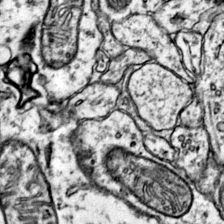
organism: Mouse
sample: Primary visual cortex